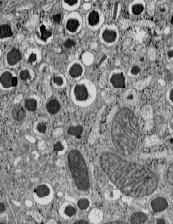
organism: C57BL Mouse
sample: Pancreatic islet